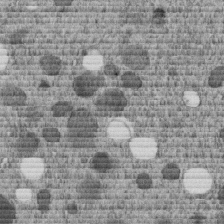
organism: C. elegans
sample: C. elegans embryo early stage